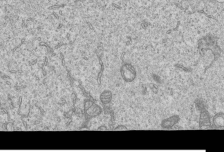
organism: Human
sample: MDA-MB-231 cells